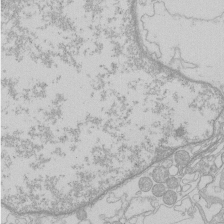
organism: Human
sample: Macrophage cells